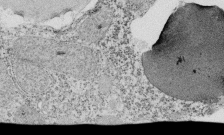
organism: Tetrahymena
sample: Cilia in tetrahymena